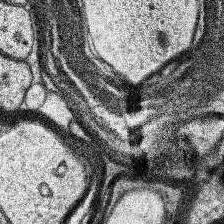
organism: Human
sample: Temporal Lobe